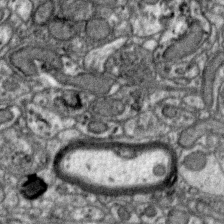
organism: Zebra finch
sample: Brain